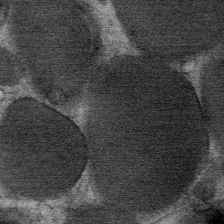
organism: Mouse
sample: Mouse Salivary gland